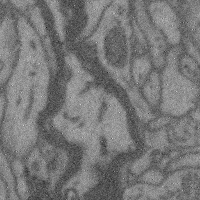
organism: Mouse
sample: Cerebral cortex